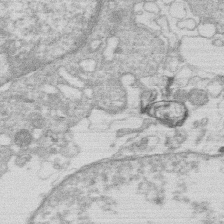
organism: Human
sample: Macrophage cells